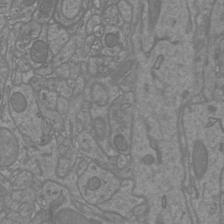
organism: Mouse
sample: Cortical neurons